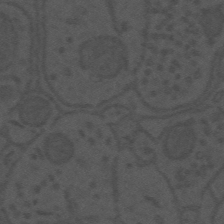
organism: Mouse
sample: Suprachiasmatic nucleus